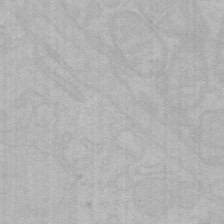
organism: Mouse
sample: Choroid plexus